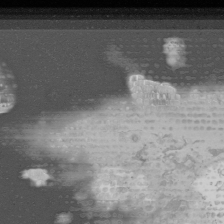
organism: Mouse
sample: Cancer cell death in ED-1 cells